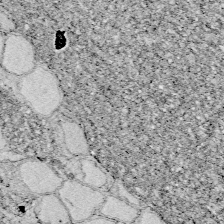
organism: Zebrafish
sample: Whole-Brain